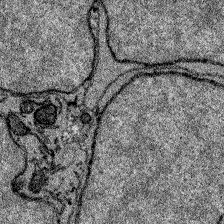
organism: Zebrafish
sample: Larval olfactory bulb